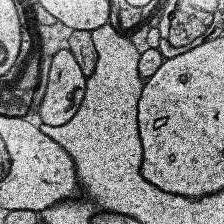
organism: Human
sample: Temporal Lobe